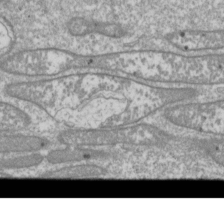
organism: Drosophila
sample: Cell division; meiosis; drosophila spermatocytes